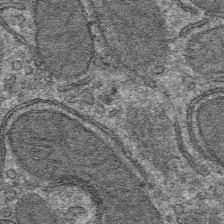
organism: Mouse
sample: Mouse hepatocytes